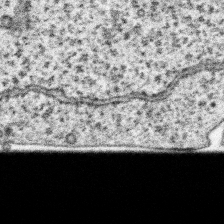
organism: Human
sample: HeLa cells